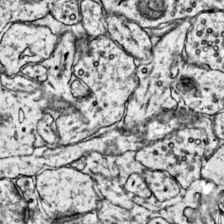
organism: Mouse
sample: Primary visual cortex